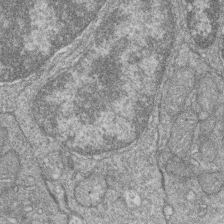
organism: Zebrafish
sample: Cilia; retinal pigment epithelium